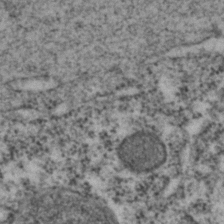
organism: C. elegans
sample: C. elegans embryo